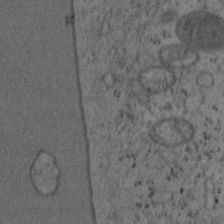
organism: Human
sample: HeLa cells